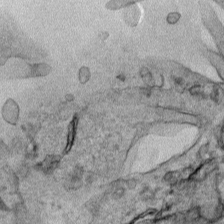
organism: Human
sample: Mitochondria in HCT116 cells